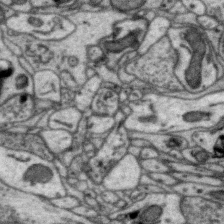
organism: Zebra finch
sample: Brain